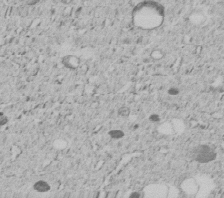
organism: C. elegans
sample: C. elegans embryo early stage